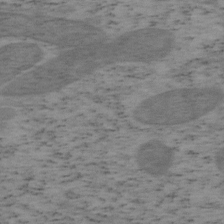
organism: Mouse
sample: OT-I killer T cells with ID8 ovarian cancer cells